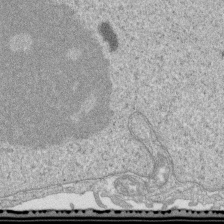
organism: Human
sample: HeLa cell HIV synapse